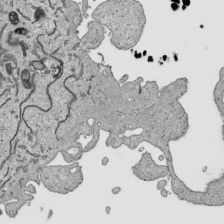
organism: Human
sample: Mitochondria in HCT116 cells